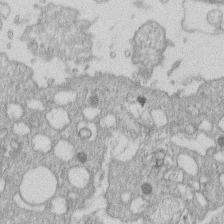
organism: Human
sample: Macrophage cells